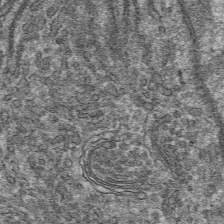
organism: Mouse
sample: Mouse hepatocytes